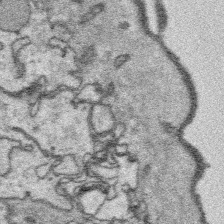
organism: Platynereis dumerilii